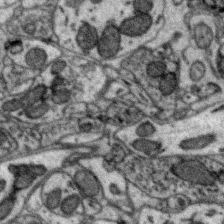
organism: Zebra finch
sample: Brain